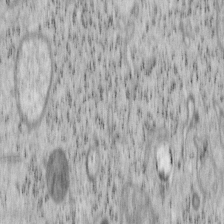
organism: Human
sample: HeLa cells